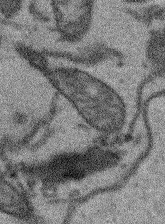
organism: Arabidopsis thaliana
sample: Root tip